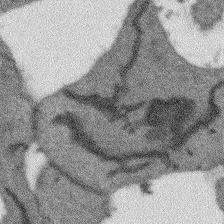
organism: Arabidopsis thaliana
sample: Root tip